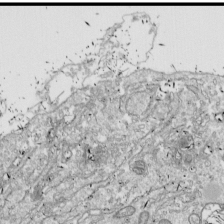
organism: Drosophila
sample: Cell division; meiosis; drosophila spermatocytes